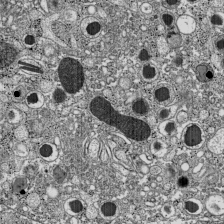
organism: C57BL Mouse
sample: Pancreatic islet